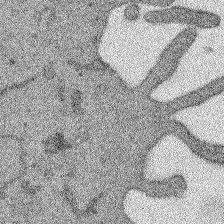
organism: Human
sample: HeLa cells